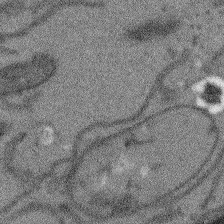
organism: Arabidopsis thaliana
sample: Root tip